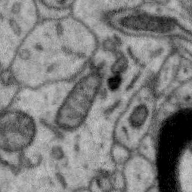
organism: Zebra finch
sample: Brain